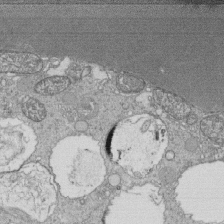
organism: Tetrahymena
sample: Cilia in tetrahymena